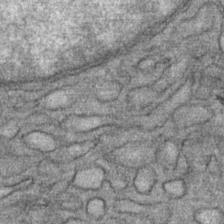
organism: Mouse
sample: Mouse Salivary gland